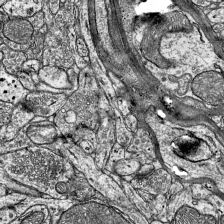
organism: Mouse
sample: Visual Cortex